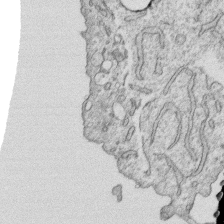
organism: Human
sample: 1205lu cells